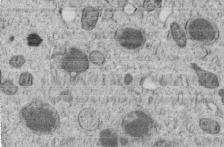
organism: C. elegans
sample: C. elegans embryo early stage